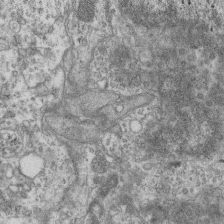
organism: Mouse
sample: Centriole in ependymal cells